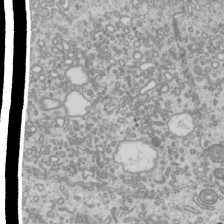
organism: Mouse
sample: Cilia; mouse epididymis